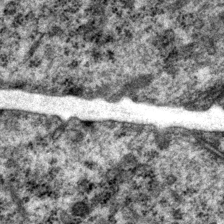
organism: P. pacificus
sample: Pharynx